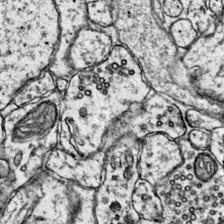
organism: Mouse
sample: Primary visual cortex